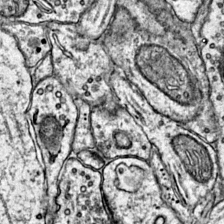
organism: Mouse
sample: Primary visual cortex